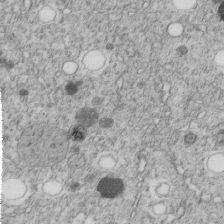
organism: C. elegans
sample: C. elegans embryo early stage